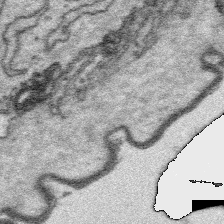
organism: Platynereis dumerilii